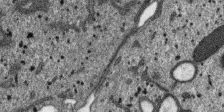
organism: Human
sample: Lung epithelial cells infected with SARS-CoV-2